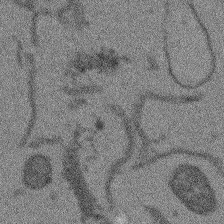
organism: Arabidopsis thaliana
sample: Root tip